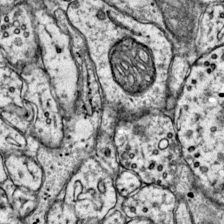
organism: Mouse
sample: Primary visual cortex